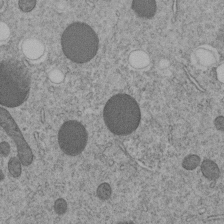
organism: C. elegans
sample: C. elegans embryo early stage